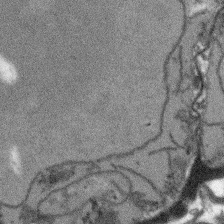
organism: Arabidopsis thaliana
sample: Root tip